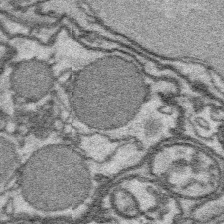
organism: Platynereis dumerilii